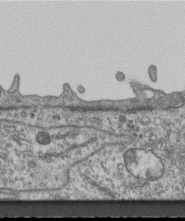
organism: Mouse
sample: Centriole in ependymal cells